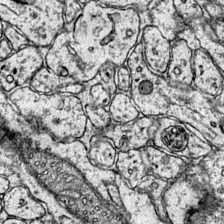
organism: Mouse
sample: Primary visual cortex